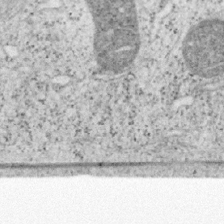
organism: Mouse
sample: OT-I killer T cells with ID8 ovarian cancer cells